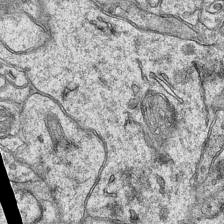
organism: Mouse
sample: CA1 Hippocampus